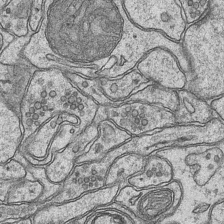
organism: Mouse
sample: CA1 Hippocampus